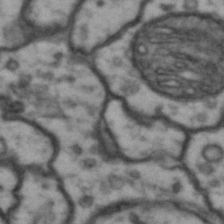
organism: Drosophila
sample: Brain